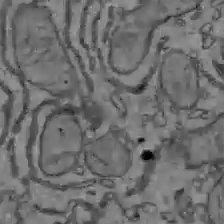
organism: C57BL Mouse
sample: Liver